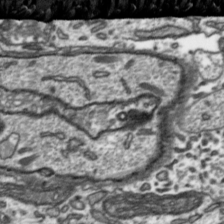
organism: Toxoplasma gondii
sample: Parasites in a vacuole inside a host cell